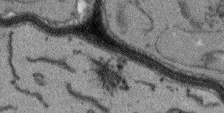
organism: Arabidopsis thaliana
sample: Root tip